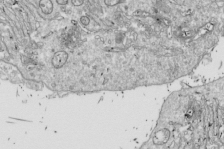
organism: Drosophila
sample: Cell division; meiosis; drosophila spermatocytes